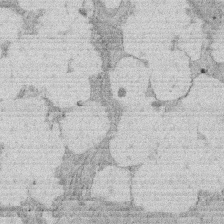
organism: Rat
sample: Salivary granule